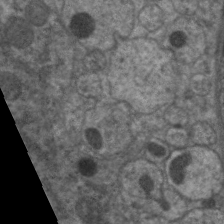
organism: C. elegans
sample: Pharynx